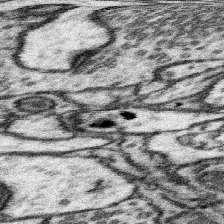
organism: Mouse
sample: Somatosensory cortex neuropil